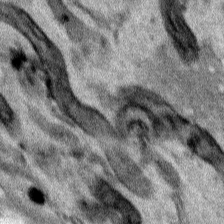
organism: Human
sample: Mitochondria in HCT116 cells